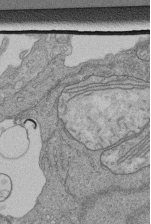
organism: Human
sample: Retinal organoid Rod and Cone cells